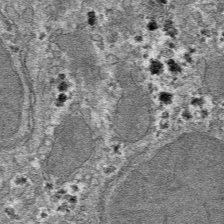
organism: Mouse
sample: Mouse hepatocytes